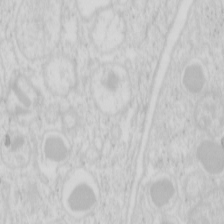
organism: Mouse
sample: Pancreas